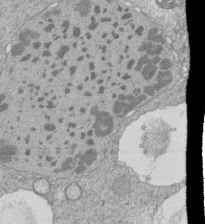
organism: Tetrahymena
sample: Cilia in tetrahymena